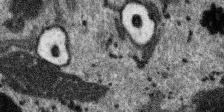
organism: Human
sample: Lung epithelial cells infected with SARS-CoV-2